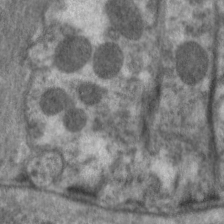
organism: C. elegans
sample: Pharynx